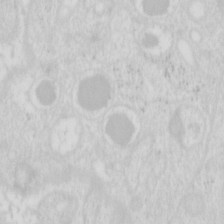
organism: Mouse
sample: Pancreas